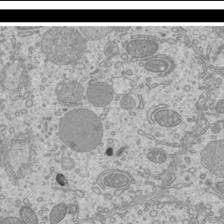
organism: Mouse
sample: Cilia; mouse epididymis